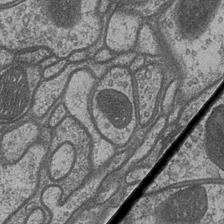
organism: Drosophila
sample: Optic medulla